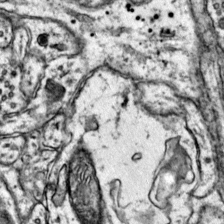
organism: Mouse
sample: Primary visual cortex